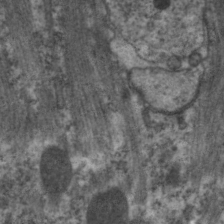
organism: C. elegans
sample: Pharynx